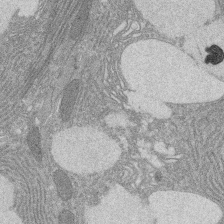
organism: Rat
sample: Salivary granule